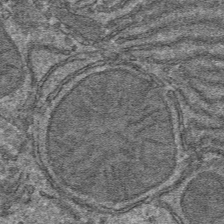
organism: Mouse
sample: Mouse hepatocytes